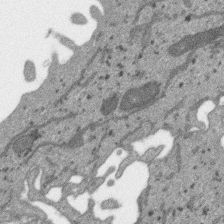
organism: Human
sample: Lung epithelial cells infected with SARS-CoV-2